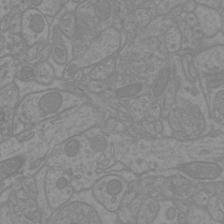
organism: Mouse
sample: Cortical neurons